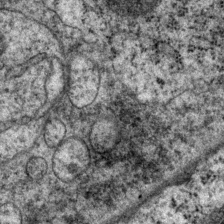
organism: P. pacificus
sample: Pharynx